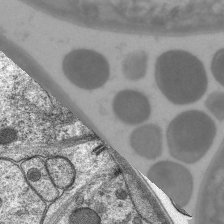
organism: C. elegans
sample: Pharynx